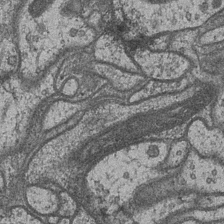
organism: Drosophila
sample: Optic medulla